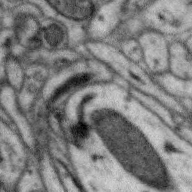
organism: Zebra finch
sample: Brain